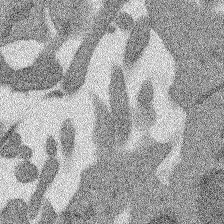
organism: Human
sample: HeLa cells